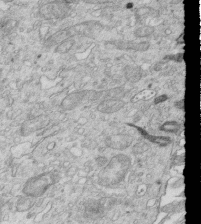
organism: Mouse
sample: Multiciliated cells